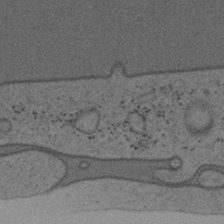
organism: Human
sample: HeLa cells